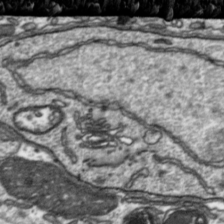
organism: Toxoplasma gondii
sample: Parasites in a vacuole inside a host cell